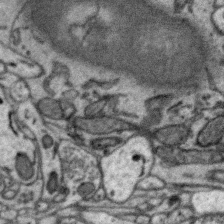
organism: Zebra finch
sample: Brain